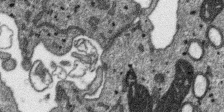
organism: Human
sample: Lung epithelial cells infected with SARS-CoV-2